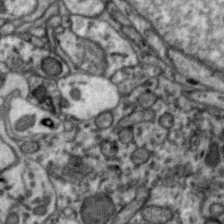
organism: Zebra finch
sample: Brain